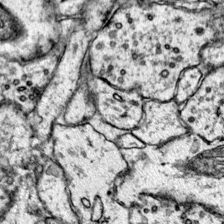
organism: Mouse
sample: Primary visual cortex